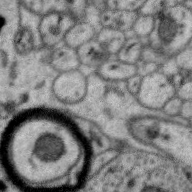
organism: Zebra finch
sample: Brain